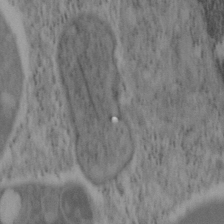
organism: Mouse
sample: OT-I killer T cells with ID8 ovarian cancer cells